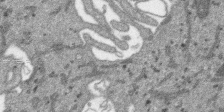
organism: Human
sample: Lung epithelial cells infected with SARS-CoV-2